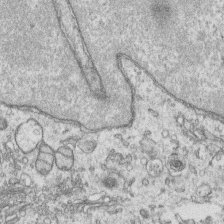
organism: Human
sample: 1205lu cells